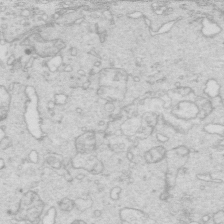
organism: Mouse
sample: Multiciliated cells